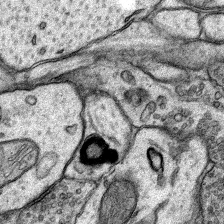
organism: Rat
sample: Hippocampus